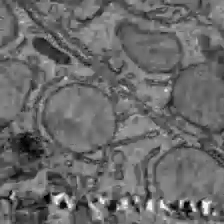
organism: C57BL Mouse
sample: Liver